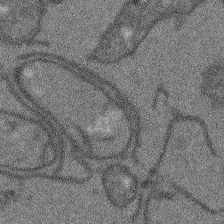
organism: Arabidopsis thaliana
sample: Root tip